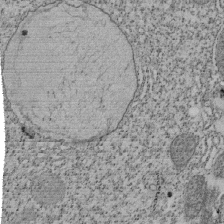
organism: Tetrahymena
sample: Cilia in tetrahymena